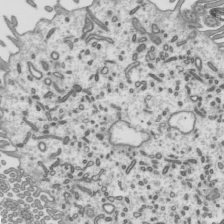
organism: Mouse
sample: Mouse epididymis efferent ductule cilia